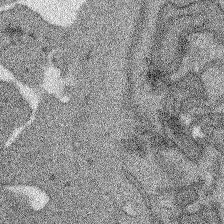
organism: Human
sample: HeLa cells